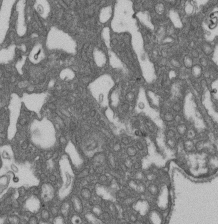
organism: Drosophila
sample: Nephrocyte